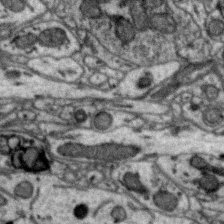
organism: Zebra finch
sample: Brain